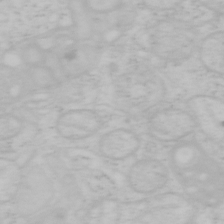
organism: Mouse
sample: OT-I killer T cells with ID8 ovarian cancer cells